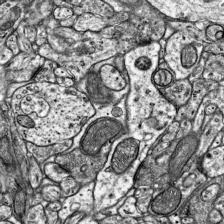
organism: Mouse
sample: Visual Cortex